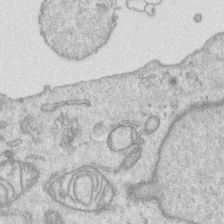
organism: Human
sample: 1205lu cells